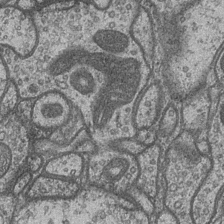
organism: Drosophila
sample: Optic medulla